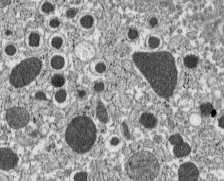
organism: C57BL Mouse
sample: Pancreatic islet